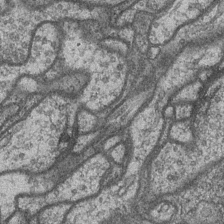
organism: Drosophila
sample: Optic medulla